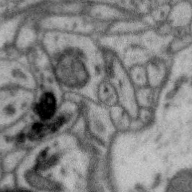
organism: Zebra finch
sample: Brain